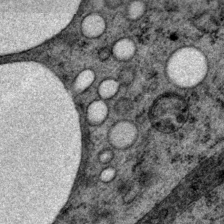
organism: P. pacificus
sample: Pharynx